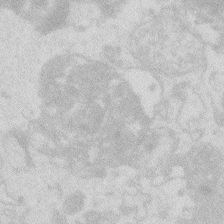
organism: Zebrafish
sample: Macrophage